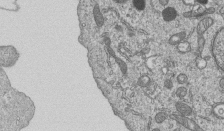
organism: Human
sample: MDA-MB-231 cells